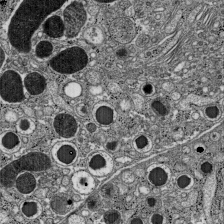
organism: C57BL Mouse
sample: Pancreatic islet